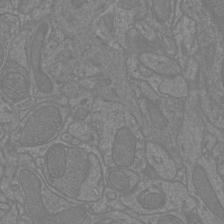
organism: Mouse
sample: Cortical neurons